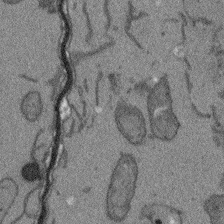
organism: Arabidopsis thaliana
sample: Root tip